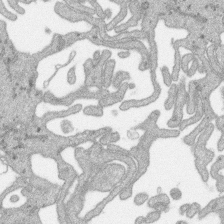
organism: Human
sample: Lung epithelial cells infected with SARS-CoV-2